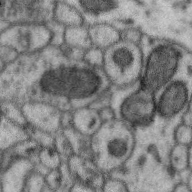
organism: Zebra finch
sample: Brain